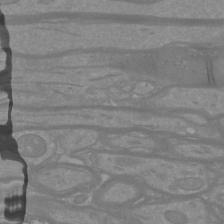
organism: Mouse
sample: Cortical neurons